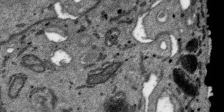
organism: Human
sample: Lung epithelial cells, uninfected (mock) control